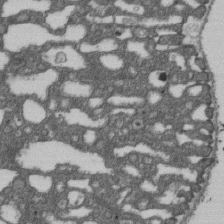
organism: Drosophila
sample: Nephrocyte